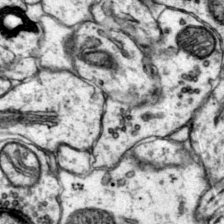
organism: Mouse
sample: Primary visual cortex